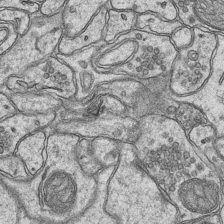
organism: Mouse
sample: CA1 Hippocampus